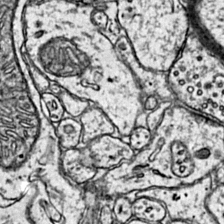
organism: Mouse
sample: Primary visual cortex